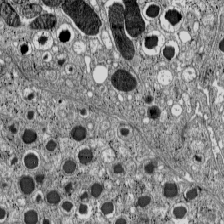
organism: C57BL Mouse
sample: Pancreatic islet